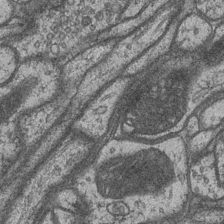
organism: Drosophila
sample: Optic medulla